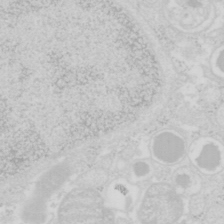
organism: Mouse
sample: Pancreas